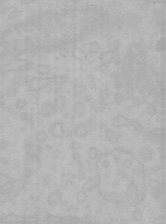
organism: Mouse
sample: Choroid plexus